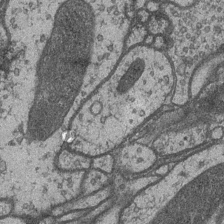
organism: Drosophila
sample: Optic medulla